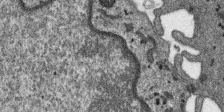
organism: Human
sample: Lung epithelial cells infected with SARS-CoV-2